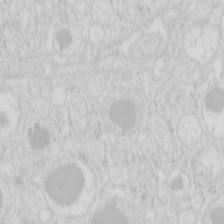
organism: Mouse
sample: Pancreas